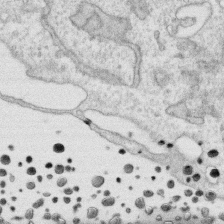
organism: Human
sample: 1205lu cells